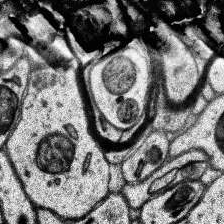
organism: Human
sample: Temporal Lobe